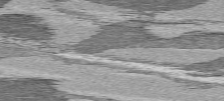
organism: C57BL Mouse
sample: Heart